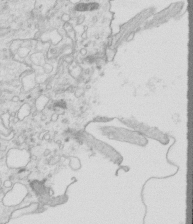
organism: Mouse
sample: Multiciliated cells